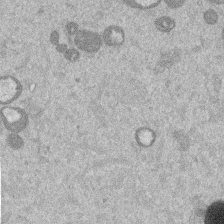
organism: Mouse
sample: Dividing mouse embryo 1 cell stage